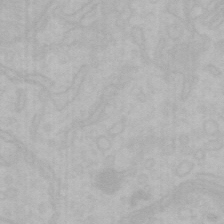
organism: Mouse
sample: Choroid plexus